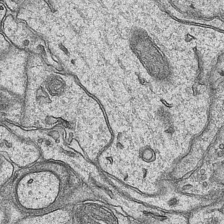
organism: Mouse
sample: CA1 Hippocampus